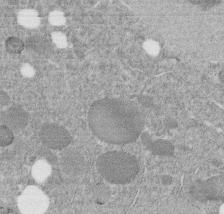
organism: C. elegans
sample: C. elegans embryo early stage